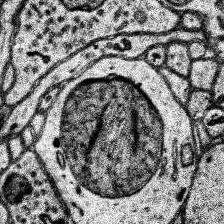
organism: Human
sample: Temporal Lobe